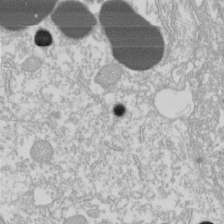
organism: Xenopus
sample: Cilia; centrioles in frog embryo cells